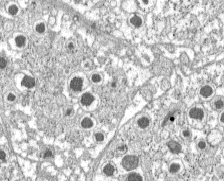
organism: C57BL Mouse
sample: Pancreatic islet